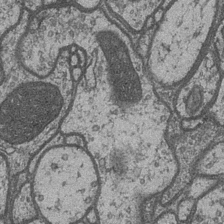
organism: Drosophila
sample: Optic medulla